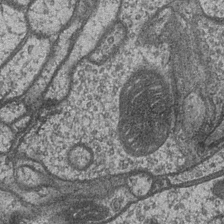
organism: Drosophila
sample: Optic medulla